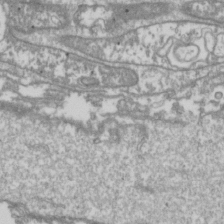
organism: Drosophila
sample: Cell division; meiosis; drosophila spermatocytes